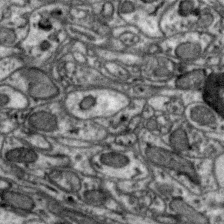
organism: Zebra finch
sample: Brain